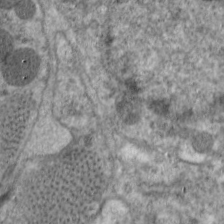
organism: C. elegans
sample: Pharynx